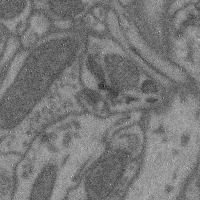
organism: Mouse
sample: Cerebral cortex